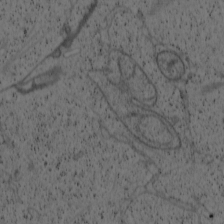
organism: African green monkey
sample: COS-7 cells